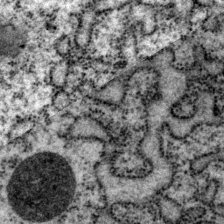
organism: P. pacificus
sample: Pharynx